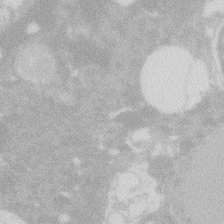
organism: Zebrafish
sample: Macrophage